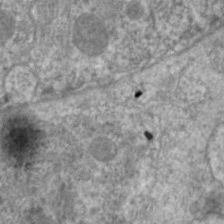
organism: C. elegans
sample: Pharynx